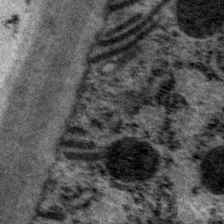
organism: P. pacificus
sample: Pharynx